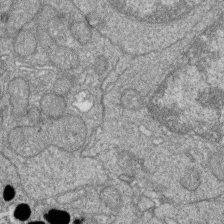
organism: Zebrafish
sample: Cilia; retinal pigment epithelium